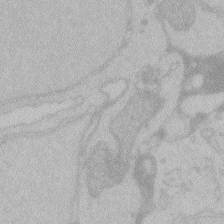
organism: Zebrafish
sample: Macrophage infected with Toxoplasma gondii